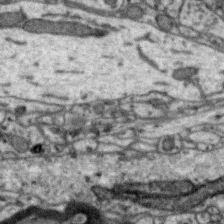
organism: Zebra finch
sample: Brain